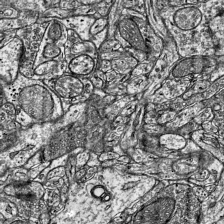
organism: Mouse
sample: Visual Cortex